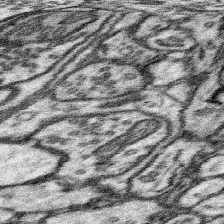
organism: Mouse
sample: Somatosensory cortex neuropil